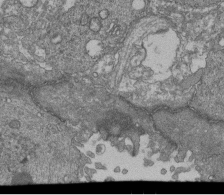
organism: Human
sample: Retinal organoid Rod and Cone cells